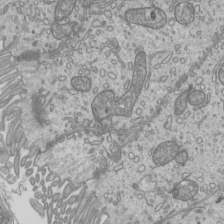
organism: Mouse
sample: Cilia; mouse epididymis